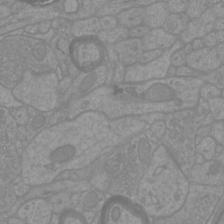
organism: Mouse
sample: Cortical neurons